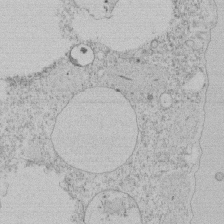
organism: Tetrahymena